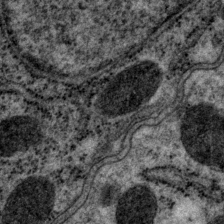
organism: P. pacificus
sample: Pharynx